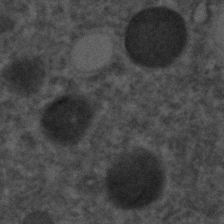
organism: C. elegans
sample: C. elegans embryo